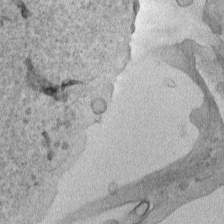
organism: Human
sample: Mitochondria in HCT116 cells